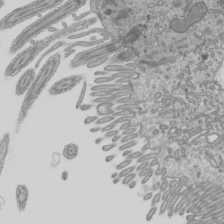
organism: Mouse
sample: Cilia; mouse epididymis